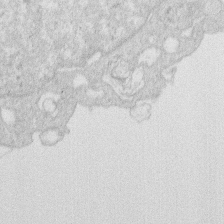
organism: Human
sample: Macrophage cells